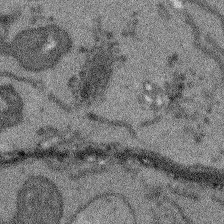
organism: Arabidopsis thaliana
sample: Root tip